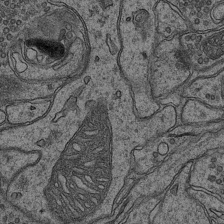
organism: Mouse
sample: CA1 Hippocampus